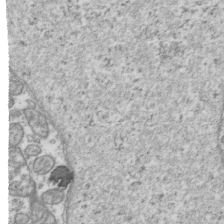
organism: Human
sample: Activated Jurkat CD4+ T cells